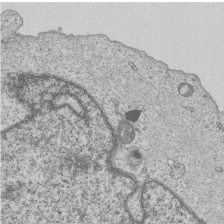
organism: Human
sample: MDA-MB-231 cells